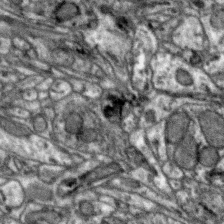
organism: Zebra finch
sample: Brain